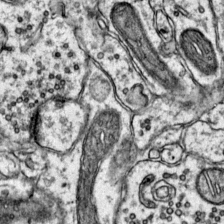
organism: Mouse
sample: Primary visual cortex